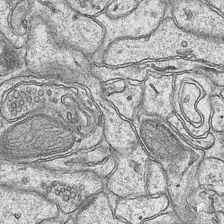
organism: Mouse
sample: CA1 Hippocampus